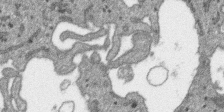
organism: Human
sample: Lung epithelial cells infected with SARS-CoV-2